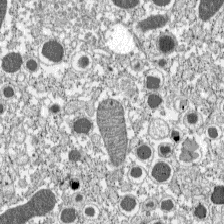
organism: C57BL Mouse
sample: Pancreatic islet